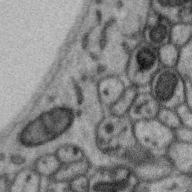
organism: Zebra finch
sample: Brain